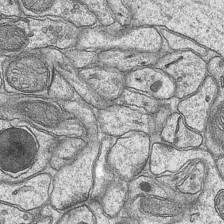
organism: Mouse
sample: CA1 Hippocampus